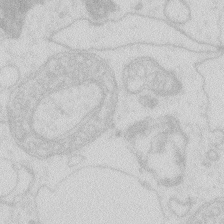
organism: Zebrafish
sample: Macrophage